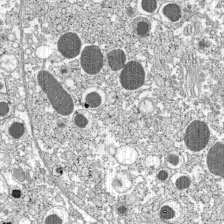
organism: C57BL Mouse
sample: Pancreatic islet